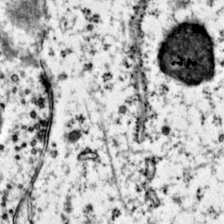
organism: Mouse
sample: Primary visual cortex